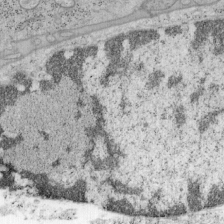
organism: Mouse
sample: OT-I killer T cells with ID8 ovarian cancer cells